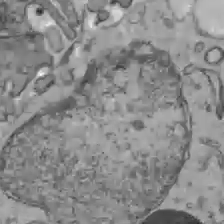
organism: C57BL Mouse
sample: Liver